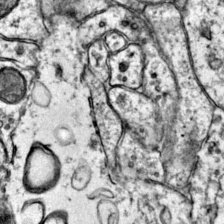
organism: Mouse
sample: Primary visual cortex